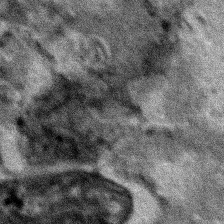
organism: Human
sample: Mitochondria in HCT116 cells